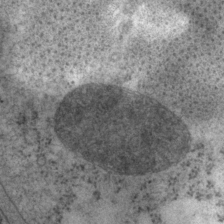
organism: P. pacificus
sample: Pharynx